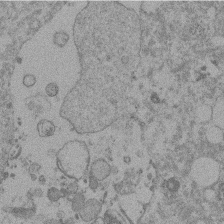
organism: Mouse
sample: Dividing mouse embryo 1 cell stage